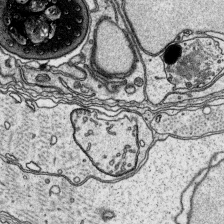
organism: Platynereis dumerilii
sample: Parapodia